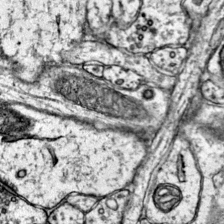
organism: Mouse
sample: Primary visual cortex